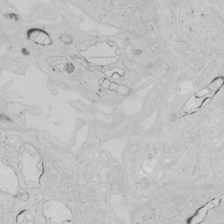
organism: Human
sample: Mitochondria in HCT116 cells